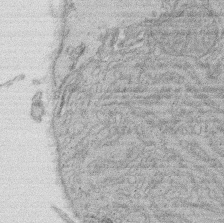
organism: Rat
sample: Salivary granule